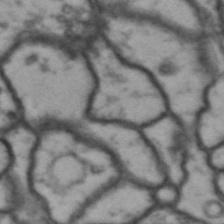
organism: Drosophila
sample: Brain